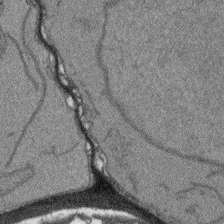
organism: Arabidopsis thaliana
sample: Root tip